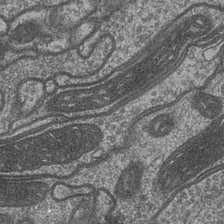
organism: Drosophila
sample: Optic medulla